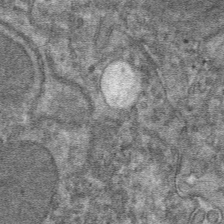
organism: Mouse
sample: Mouse hepatocytes